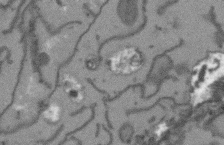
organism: Arabidopsis thaliana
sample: Root tip